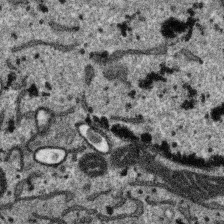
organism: Human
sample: Lung epithelial cells infected with SARS-CoV-2